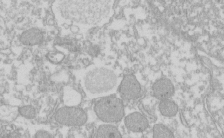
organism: Xenopus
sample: Cilia; centrioles in frog embryo cells